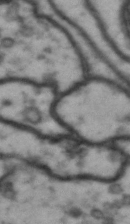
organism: Drosophila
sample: Brain